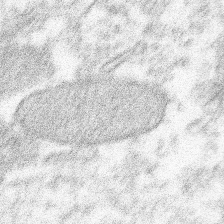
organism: Xenopus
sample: Cilia; centrioles in frog embryo cells